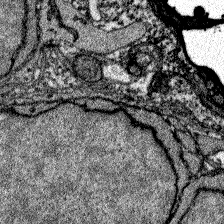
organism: Zebrafish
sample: Larval olfactory bulb